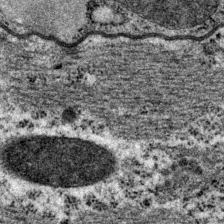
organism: P. pacificus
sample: Pharynx